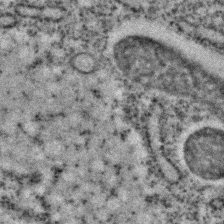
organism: C. elegans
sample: C. elegans embryo